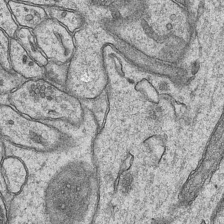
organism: Mouse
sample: CA1 Hippocampus